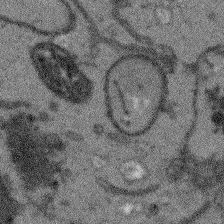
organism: Arabidopsis thaliana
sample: Root tip